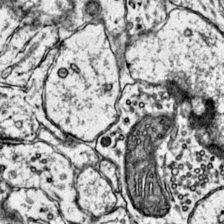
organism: Mouse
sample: Primary visual cortex